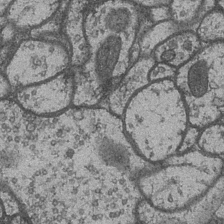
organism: Drosophila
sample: Optic medulla